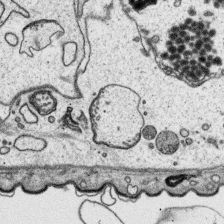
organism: Platynereis dumerilii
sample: Parapodia